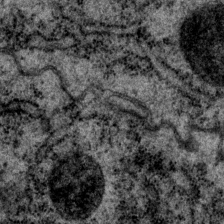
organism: P. pacificus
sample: Pharynx